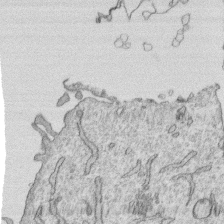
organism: Human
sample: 1205lu cells